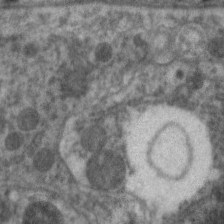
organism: C. elegans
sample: Pharynx